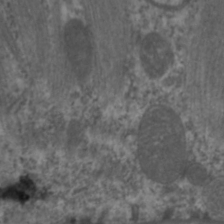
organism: C. elegans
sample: Pharynx